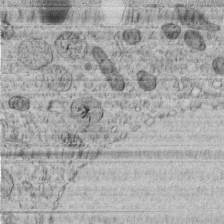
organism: C. elegans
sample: C. elegans embryo early stage